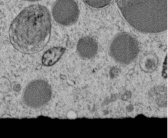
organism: C. elegans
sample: C. elegans embryo early stage